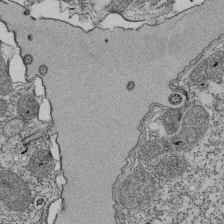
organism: Tetrahymena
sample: Cilia in tetrahymena